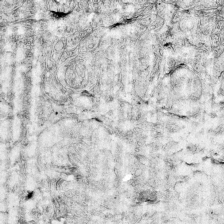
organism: Mouse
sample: Visual Cortex